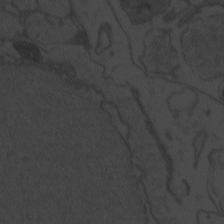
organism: Zebrafish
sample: Macrophage infected with Toxoplasma gondii